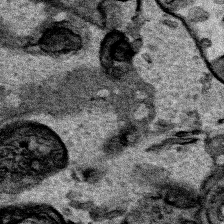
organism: Human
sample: Mitochondria in HCT116 cells